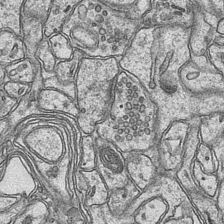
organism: Mouse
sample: CA1 Hippocampus